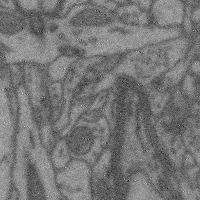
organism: Mouse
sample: Cerebral cortex